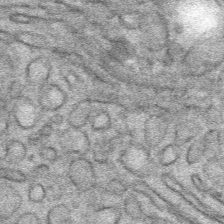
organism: Mouse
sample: Mouse Salivary gland